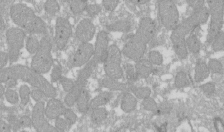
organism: Xenopus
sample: Cilia; centrioles in frog embryo cells